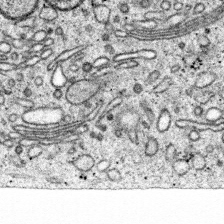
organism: Human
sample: HeLa cells